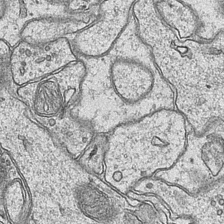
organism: Mouse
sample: CA1 Hippocampus